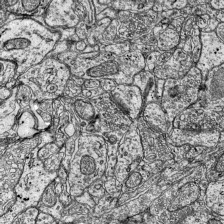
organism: Mouse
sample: Visual Cortex